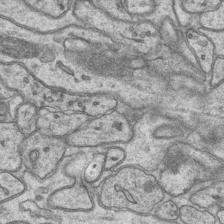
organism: Mouse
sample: CA1 Hippocampus